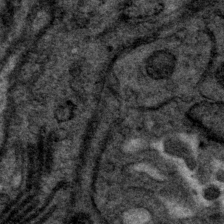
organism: P. pacificus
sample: Pharynx